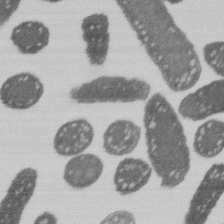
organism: E. coli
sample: Bacterial nucleoid